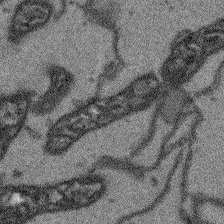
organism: Arabidopsis thaliana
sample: Root tip